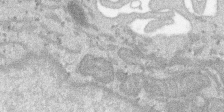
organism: Human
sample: Lung epithelial cells infected with SARS-CoV-2